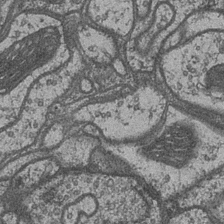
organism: Drosophila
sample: Optic medulla